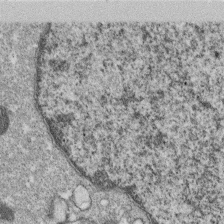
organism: African green monkey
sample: Vero E6 cells infected with SARS-CoV-2